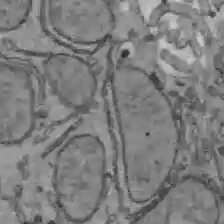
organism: C57BL Mouse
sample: Liver